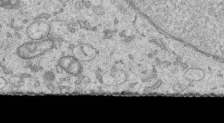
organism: Human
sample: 1205lu cells